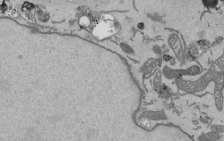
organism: Mouse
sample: ED-1 cell nuclei; centrioles